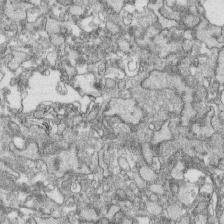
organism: Human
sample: CRL-1474